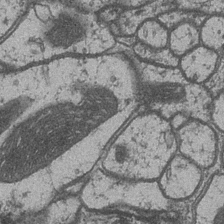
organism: Drosophila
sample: Optic medulla